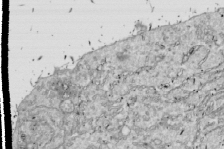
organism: Drosophila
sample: Cell division; meiosis; drosophila spermatocytes